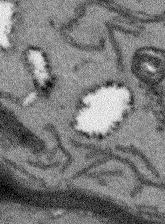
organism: Arabidopsis thaliana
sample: Root tip